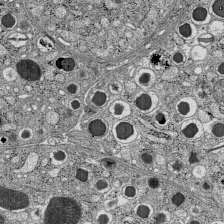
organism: C57BL Mouse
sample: Pancreatic islet